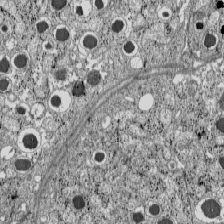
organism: C57BL Mouse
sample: Pancreatic islet